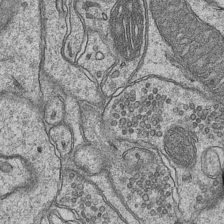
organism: Mouse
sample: CA1 Hippocampus